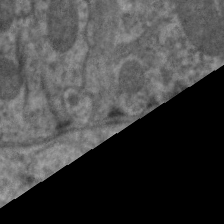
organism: C. elegans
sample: Pharynx